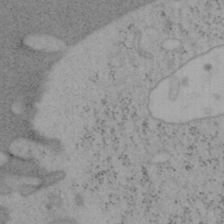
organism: Mouse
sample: OT-I killer T cells with ID8 ovarian cancer cells